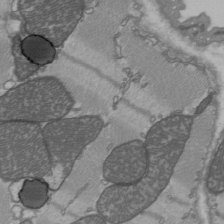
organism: C57BL Mouse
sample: Heart